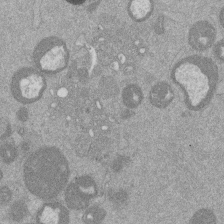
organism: Mouse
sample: Dividing mouse embryo 1 cell stage